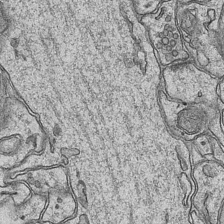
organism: Mouse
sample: CA1 Hippocampus